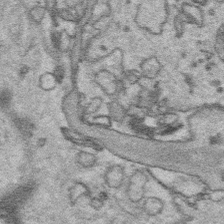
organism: Platynereis dumerilii